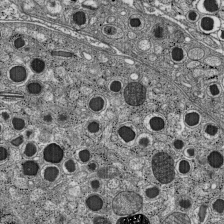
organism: C57BL Mouse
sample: Pancreatic islet